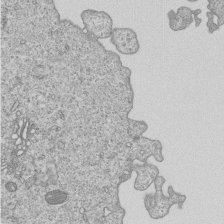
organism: Human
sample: MDA-MB-231 cells